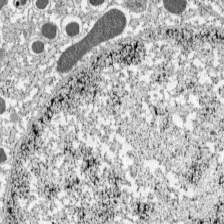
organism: C57BL Mouse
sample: Pancreatic islet